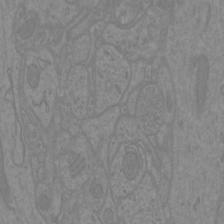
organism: Mouse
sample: Cortical neurons